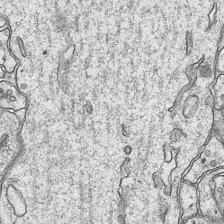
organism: Mouse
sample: CA1 Hippocampus